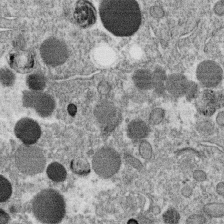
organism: C. elegans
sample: C. elegans oocyte; sperm cells